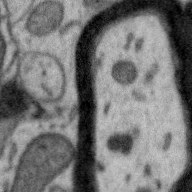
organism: Zebra finch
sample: Brain